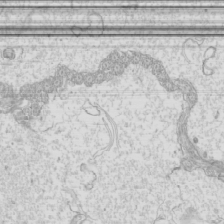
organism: Mouse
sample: Cilia; mouse epididymis